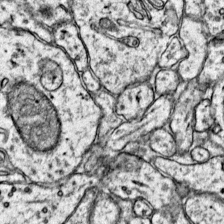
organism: Mouse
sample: Primary visual cortex